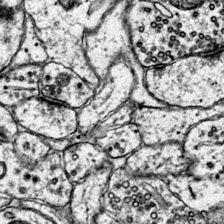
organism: Mouse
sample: Primary visual cortex